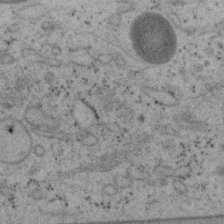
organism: Human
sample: HeLa cells